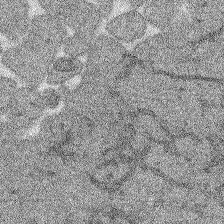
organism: Human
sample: HeLa cells